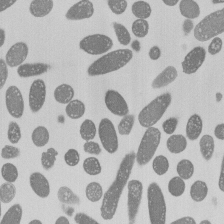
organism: E. coli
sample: Bacterial nucleoid